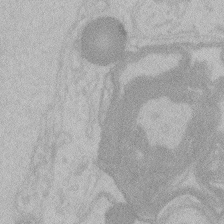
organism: Zebrafish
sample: Macrophage infected with Toxoplasma gondii